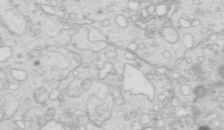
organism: Mouse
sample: Multiciliated cells